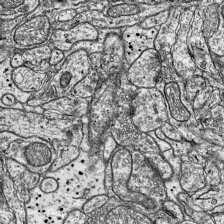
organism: Mouse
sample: Visual Cortex